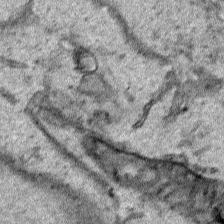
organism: Human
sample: Mitochondria in HCT116 cells